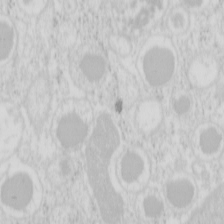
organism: Mouse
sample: Pancreas